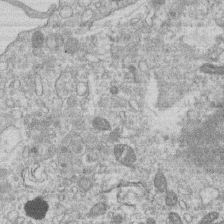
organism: Human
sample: Macrophage cells